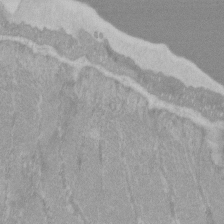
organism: C57BL Mouse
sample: Tibialis anterior muscle cell